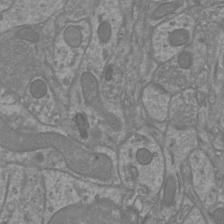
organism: Mouse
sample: Cortical neurons